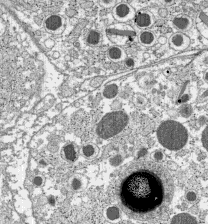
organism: C57BL Mouse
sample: Pancreatic islet